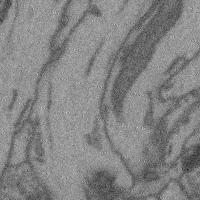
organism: Mouse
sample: Cerebral cortex